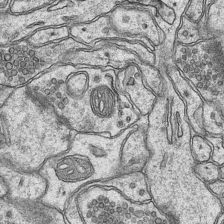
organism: Mouse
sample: CA1 Hippocampus